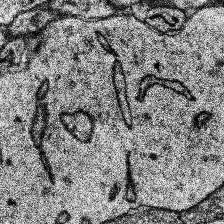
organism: Human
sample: Temporal Lobe